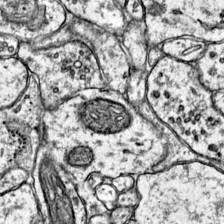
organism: Mouse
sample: Primary visual cortex